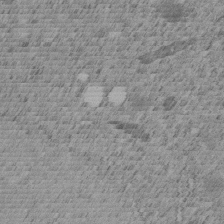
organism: C. elegans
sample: C. elegans embryo early stage